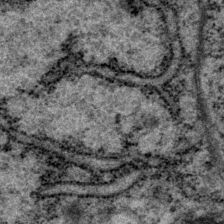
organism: P. pacificus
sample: Pharynx